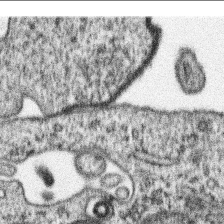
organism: Human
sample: HeLa cells